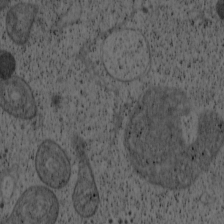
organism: African green monkey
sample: COS-7 cells